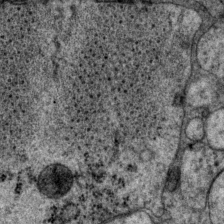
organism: P. pacificus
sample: Pharynx